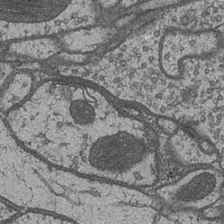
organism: Drosophila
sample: Optic medulla